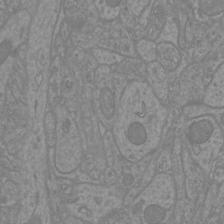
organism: Mouse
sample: Cortical neurons